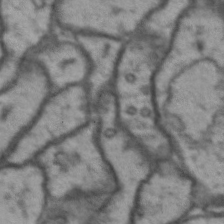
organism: Drosophila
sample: Brain